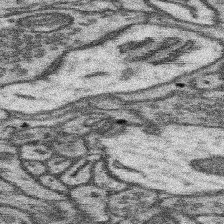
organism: Mouse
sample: Somatosensory cortex neuropil